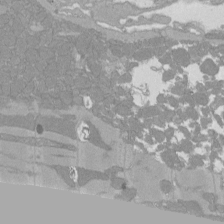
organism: Rat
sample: Left ventricle